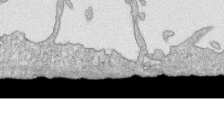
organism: Human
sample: HeLa cell HIV synapse